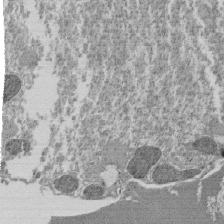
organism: Tetrahymena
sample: Cilia in tetrahymena